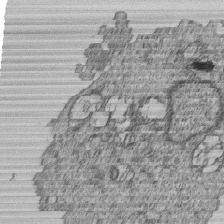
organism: Human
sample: MDA-MB-231 cells